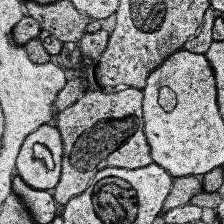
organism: Human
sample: Temporal Lobe